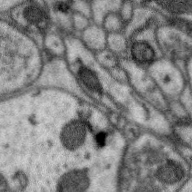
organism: Zebra finch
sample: Brain